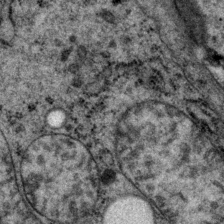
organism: P. pacificus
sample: Pharynx